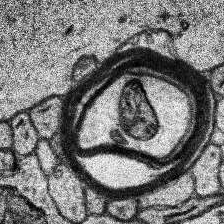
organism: Human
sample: Temporal Lobe